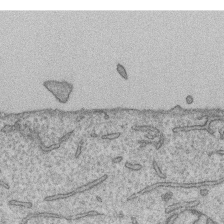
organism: Human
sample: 1205lu cells